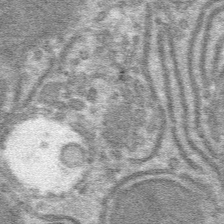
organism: Mouse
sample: Mouse hepatocytes